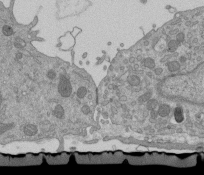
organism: Mouse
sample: ED-1 cell nuclei; centrioles